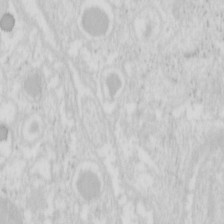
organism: Mouse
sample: Pancreas